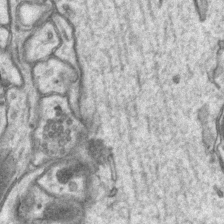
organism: Mouse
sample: CA1 Hippocampus